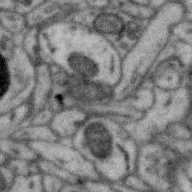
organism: Zebra finch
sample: Brain